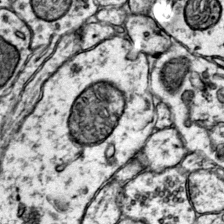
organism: Mouse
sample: Primary visual cortex